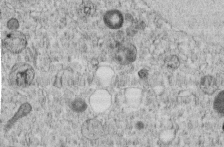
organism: C. elegans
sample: C. elegans embryo early stage